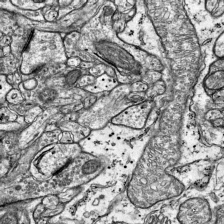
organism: Mouse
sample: Visual Cortex